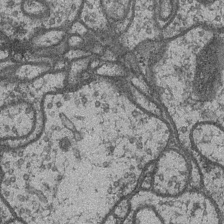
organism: Drosophila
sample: Optic medulla